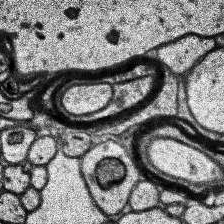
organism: Human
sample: Temporal Lobe